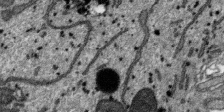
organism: Human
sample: Lung epithelial cells, uninfected (mock) control